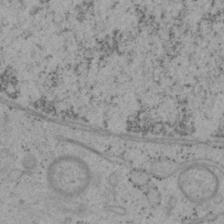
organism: Human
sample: HeLa cells